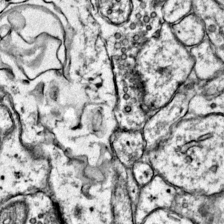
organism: Mouse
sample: Primary visual cortex